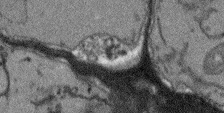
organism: Arabidopsis thaliana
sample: Root tip